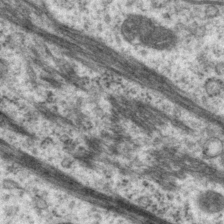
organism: P. pacificus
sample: Pharynx